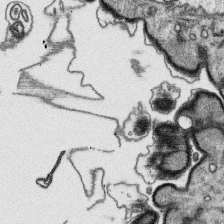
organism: Platynereis dumerilii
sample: Parapodia